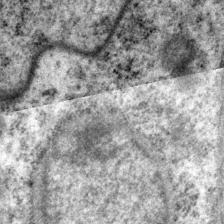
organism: P. pacificus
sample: Pharynx